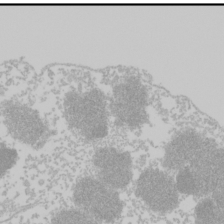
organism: Mouse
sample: Cancer cell death in ED-1 cells